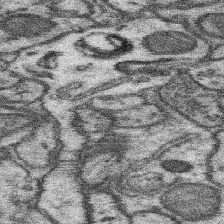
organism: Mouse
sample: Somatosensory cortex neuropil